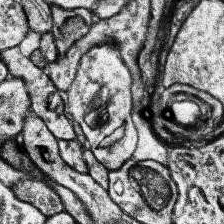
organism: Human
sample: Temporal Lobe